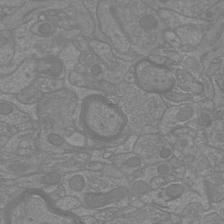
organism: Mouse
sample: Cortical neurons